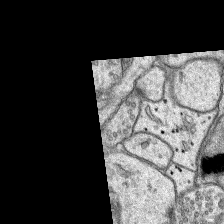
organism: Rat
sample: Hippocampus